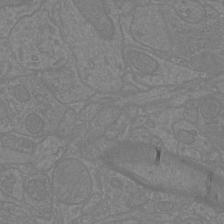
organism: Mouse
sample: Cortical neurons